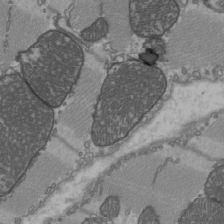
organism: C57BL Mouse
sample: Heart